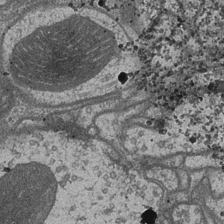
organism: Drosophila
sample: Optic medulla